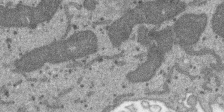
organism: Human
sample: Lung epithelial cells infected with SARS-CoV-2